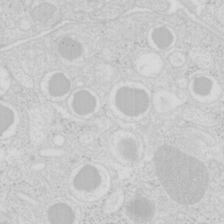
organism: Mouse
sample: Pancreas